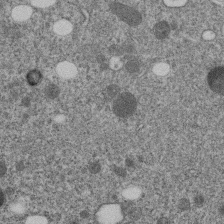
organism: C. elegans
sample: C. elegans embryo early stage